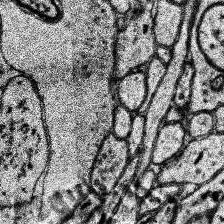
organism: Human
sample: Temporal Lobe